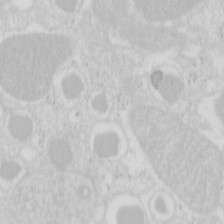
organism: Mouse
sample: Pancreas